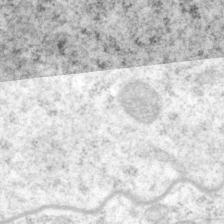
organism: P. pacificus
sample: Pharynx